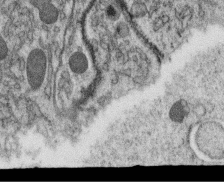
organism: C. elegans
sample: C. elegans oocyte; sperm cells